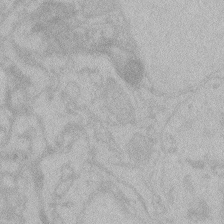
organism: Zebrafish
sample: Macrophage infected with Toxoplasma gondii